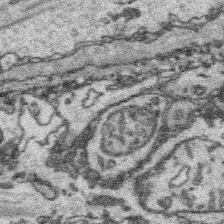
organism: Platynereis dumerilii